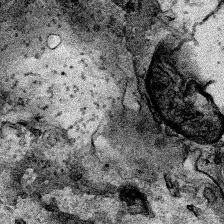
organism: Human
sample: Mitochondria in HCT116 cells